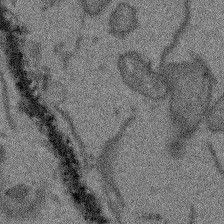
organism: Arabidopsis thaliana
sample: Root tip